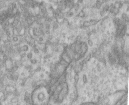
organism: Human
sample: Centriole in RPE cells